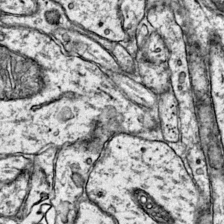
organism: Mouse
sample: Primary visual cortex